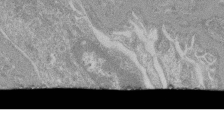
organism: Mouse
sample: Glomerulus